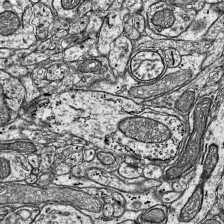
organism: Mouse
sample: Visual Cortex